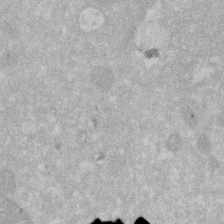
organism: Human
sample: HIV infected U937 cells